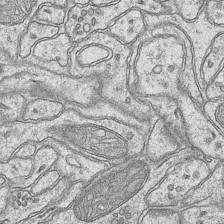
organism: Mouse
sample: CA1 Hippocampus